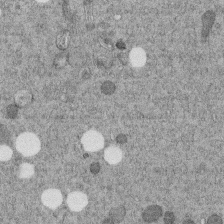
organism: C. elegans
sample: C. elegans embryo early stage